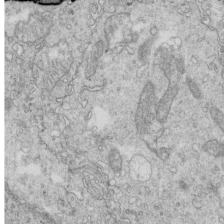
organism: Mouse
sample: Multiciliated cells